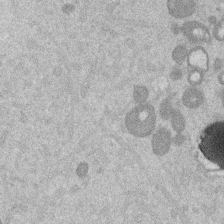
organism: Mouse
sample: Dividing mouse embryo 1 cell stage